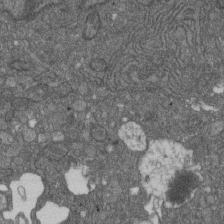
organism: Drosophila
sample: Nephrocyte